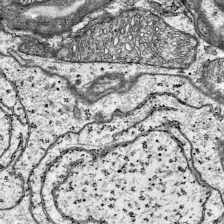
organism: Mouse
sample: Visual Cortex